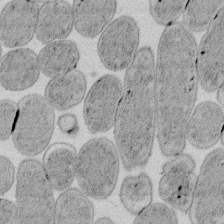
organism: E. coli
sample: Bacterial nucleoid